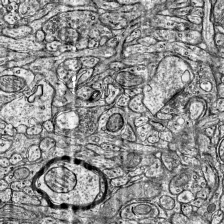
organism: Mouse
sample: Visual Cortex